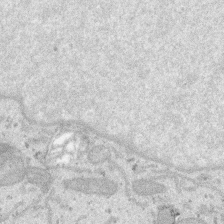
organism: Human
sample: Lung epithelial cells infected with SARS-CoV-2